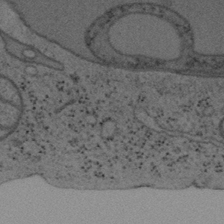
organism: Human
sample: HeLa cells